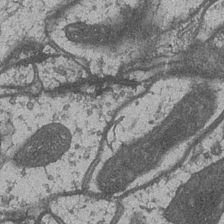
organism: Drosophila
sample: Optic medulla